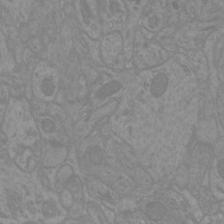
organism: Mouse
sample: Cortical neurons